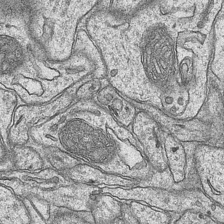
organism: Mouse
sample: CA1 Hippocampus